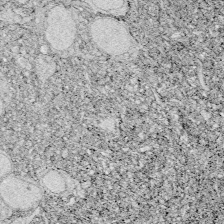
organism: Zebrafish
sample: Whole-Brain